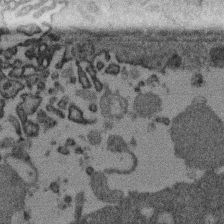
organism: Mouse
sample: Dividing mouse embryo 1 cell stage